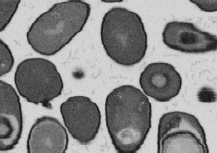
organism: B. subtilis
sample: Bacterial spore